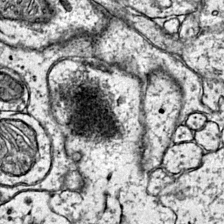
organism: Mouse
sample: Primary visual cortex